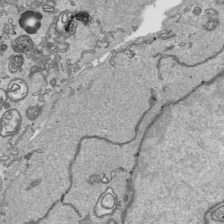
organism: Human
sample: Mitochondria in HCT116 cells